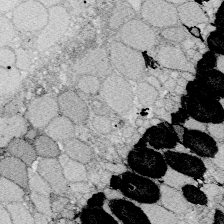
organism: Zebrafish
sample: Whole-Brain